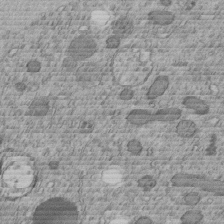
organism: C. elegans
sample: C. elegans embryo early stage